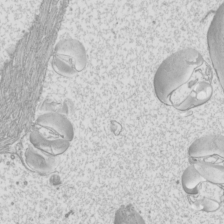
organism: Mouse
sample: Cilia; mouse epididymis